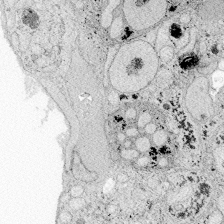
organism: Zebrafish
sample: Whole-Brain